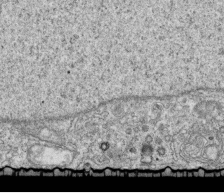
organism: Human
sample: HeLa cell HIV synapse